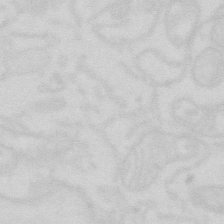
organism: Human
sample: HeLa cells